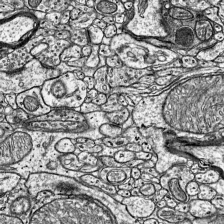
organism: Mouse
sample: Visual Cortex